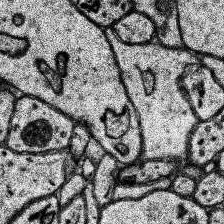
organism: Human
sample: Temporal Lobe